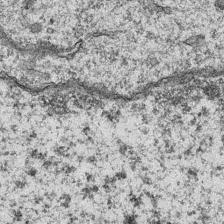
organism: Mouse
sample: CA1 Hippocampus